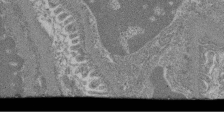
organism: Mouse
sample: Glomerulus